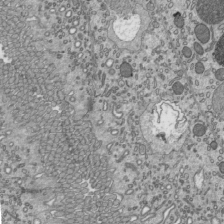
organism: Mouse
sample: Mouse epididymis efferent ductule cilia